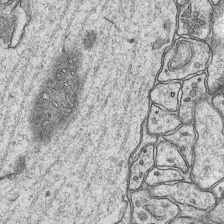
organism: Mouse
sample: CA1 Hippocampus